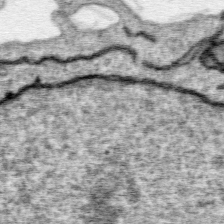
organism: Human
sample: HeLa cells